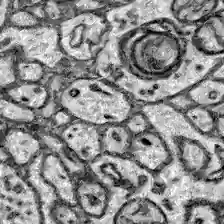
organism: Zebrafish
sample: Brain